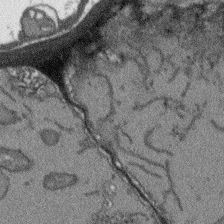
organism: Arabidopsis thaliana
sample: Root tip